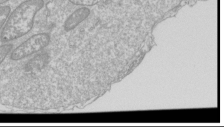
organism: Drosophila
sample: Cell division; meiosis; drosophila spermatocytes